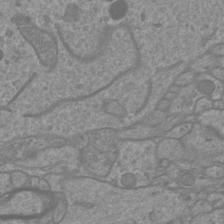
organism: Mouse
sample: Cortical neurons